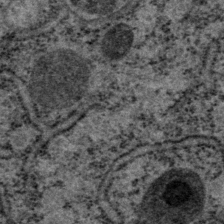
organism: P. pacificus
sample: Pharynx